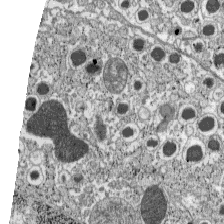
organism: C57BL Mouse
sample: Pancreatic islet